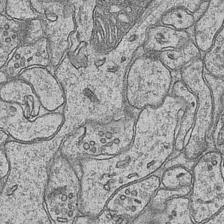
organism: Mouse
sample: CA1 Hippocampus